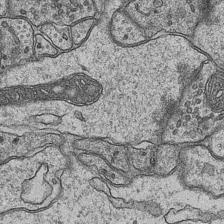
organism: Mouse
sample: CA1 Hippocampus